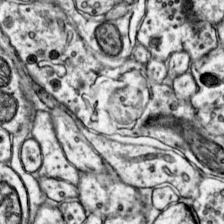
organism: Mouse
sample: Primary visual cortex